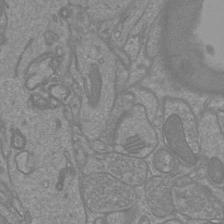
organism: Mouse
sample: Cortical neurons